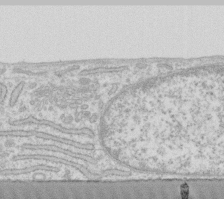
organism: Human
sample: Fibroblast cells